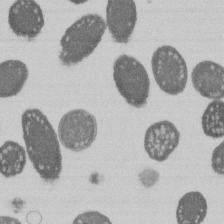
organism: E. coli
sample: Bacterial nucleoid